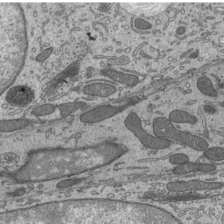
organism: Mouse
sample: Mouse epididymis efferent ductule cilia